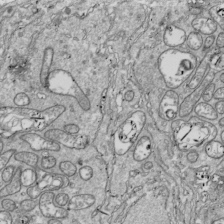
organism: Drosophila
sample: Cell division; meiosis; drosophila spermatocytes